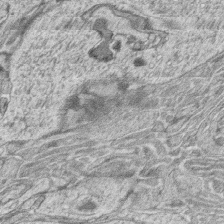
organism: Zebrafish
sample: synaptic ribbons in rod cells and cone cells